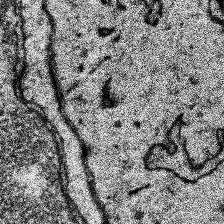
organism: Human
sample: Temporal Lobe